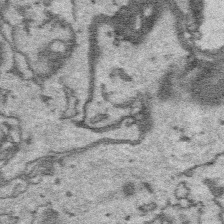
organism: Platynereis dumerilii